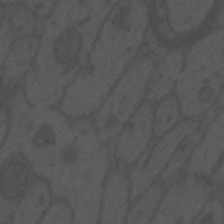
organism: Mouse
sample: Suprachiasmatic nucleus